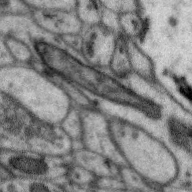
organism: Zebra finch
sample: Brain